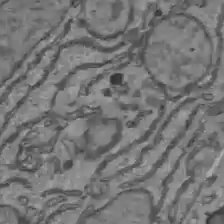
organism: C57BL Mouse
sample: Liver